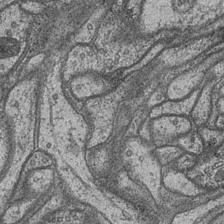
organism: Drosophila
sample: Optic medulla